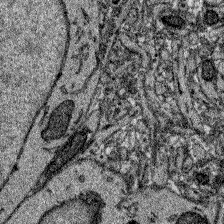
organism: Zebrafish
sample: Larval olfactory bulb